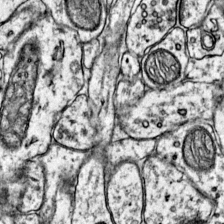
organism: Mouse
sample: Primary visual cortex